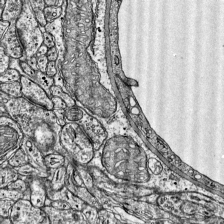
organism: Mouse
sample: Visual Cortex